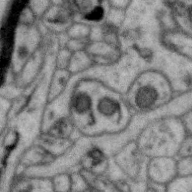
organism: Zebra finch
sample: Brain